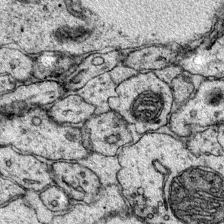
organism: Mouse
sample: Primary visual cortex